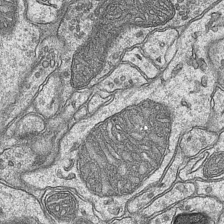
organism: Mouse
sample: CA1 Hippocampus